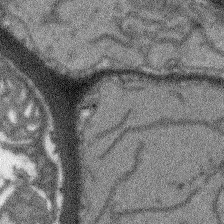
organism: Arabidopsis thaliana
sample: Root tip